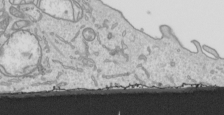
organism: Human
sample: Mitochondria in HCT116 cells